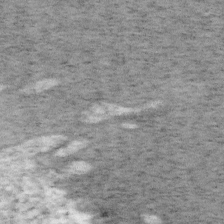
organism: Mouse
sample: OT-I killer T cells with ID8 ovarian cancer cells